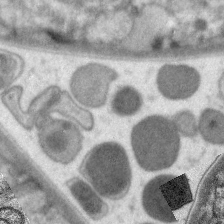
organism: C. elegans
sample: Pharynx